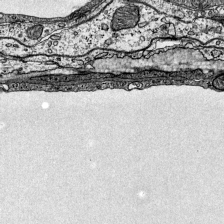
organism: Mouse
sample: Visual Cortex